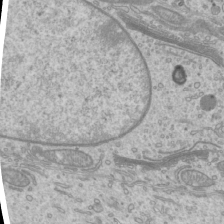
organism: Mouse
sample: Cilia; mouse epididymis